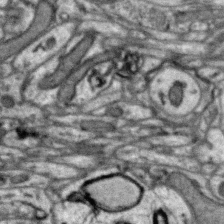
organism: Zebra finch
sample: Brain